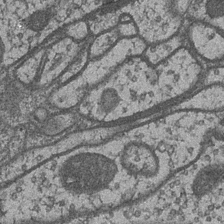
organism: Drosophila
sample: Optic medulla